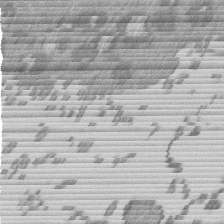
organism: Mouse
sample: Dividing mouse embryo 1 cell stage